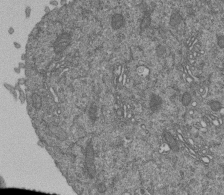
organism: Human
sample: Retinal organoid Rod and Cone cells